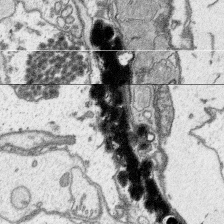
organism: Platynereis dumerilii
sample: Parapodia